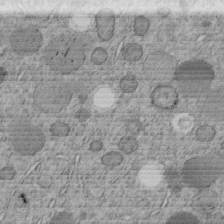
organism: C. elegans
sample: C. elegans embryo early stage